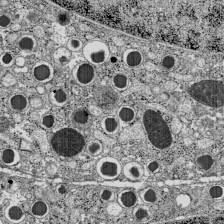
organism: C57BL Mouse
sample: Pancreatic islet